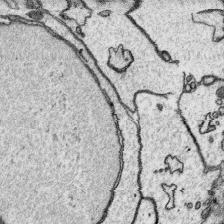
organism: Platynereis dumerilii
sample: Parapodia